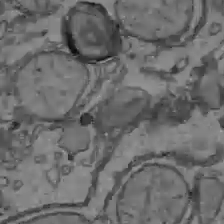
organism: C57BL Mouse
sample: Liver